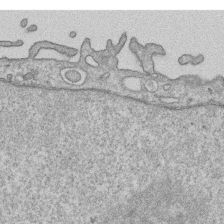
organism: Human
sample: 1205lu cells